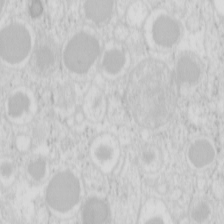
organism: Mouse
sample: Pancreas